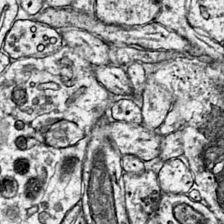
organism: Mouse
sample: Primary visual cortex